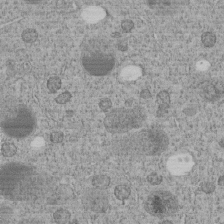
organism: C. elegans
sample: C. elegans embryo early stage